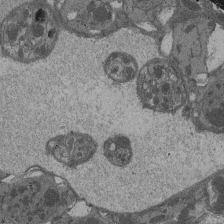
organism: Drosophila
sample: Antenna